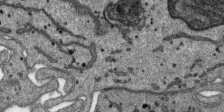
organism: Human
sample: Lung epithelial cells, uninfected (mock) control